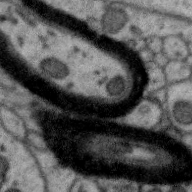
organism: Zebra finch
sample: Brain